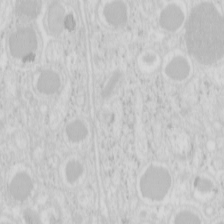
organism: Mouse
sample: Pancreas